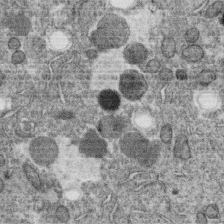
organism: C. elegans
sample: C. elegans oocyte; sperm cells